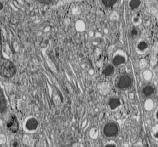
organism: C57BL Mouse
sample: Pancreatic islet